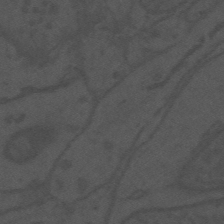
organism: Mouse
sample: Suprachiasmatic nucleus